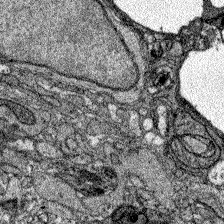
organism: Zebrafish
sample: Larval olfactory bulb